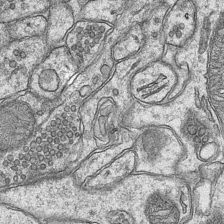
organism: Mouse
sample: CA1 Hippocampus